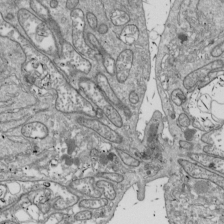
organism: Drosophila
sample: Cell division; meiosis; drosophila spermatocytes